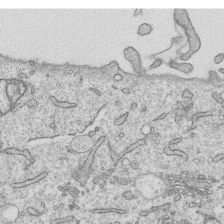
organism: Human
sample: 1205lu cells